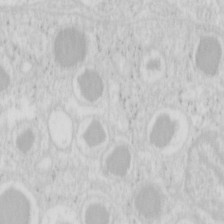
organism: Mouse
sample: Pancreas